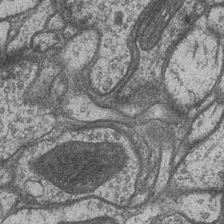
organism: Drosophila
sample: Optic medulla